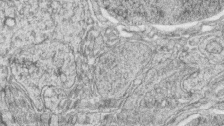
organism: Zebrafish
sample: synaptic ribbons in rod cells and cone cells